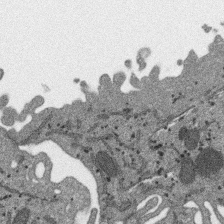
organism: Human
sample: Lung epithelial cells infected with SARS-CoV-2